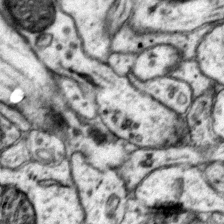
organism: Mouse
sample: Primary visual cortex